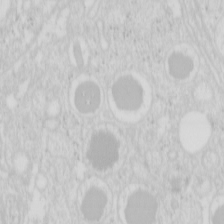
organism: Mouse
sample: Pancreas